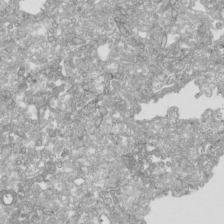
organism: Human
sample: Mitochondria in HCT116 cells